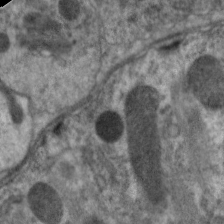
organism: C. elegans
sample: Pharynx